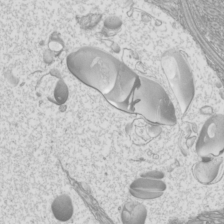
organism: Mouse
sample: Cilia; mouse epididymis